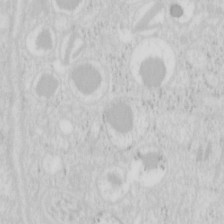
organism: Mouse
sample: Pancreas